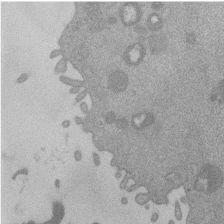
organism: Mouse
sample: Dividing mouse embryo 1 cell stage